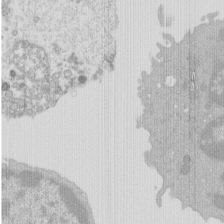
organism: Mouse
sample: Activated Pmel transgenic CD8+ T Cells